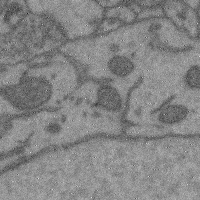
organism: Mouse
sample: Cerebral cortex